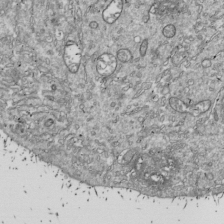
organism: Drosophila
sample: Cell division; meiosis; drosophila spermatocytes